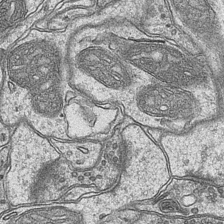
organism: Mouse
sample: CA1 Hippocampus